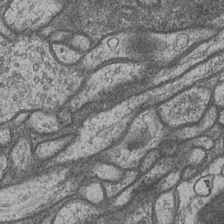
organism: Drosophila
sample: Optic medulla